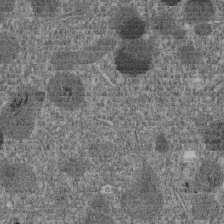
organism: C. elegans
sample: C. elegans embryo early stage